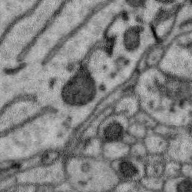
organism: Zebra finch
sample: Brain